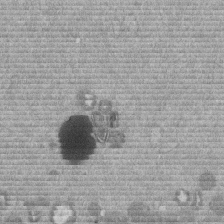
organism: Mouse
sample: Dividing mouse embryo 1 cell stage